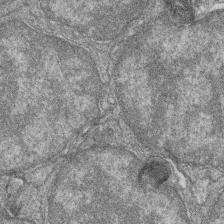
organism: Zebrafish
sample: Cilia; retinal pigment epithelium